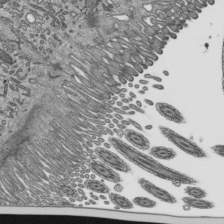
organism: Mouse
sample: Mouse epididymis efferent ductule cilia